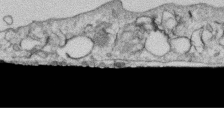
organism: Human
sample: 1205lu cells